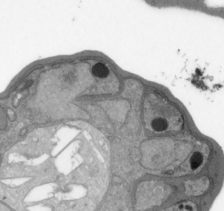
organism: Plasmodium falciparum